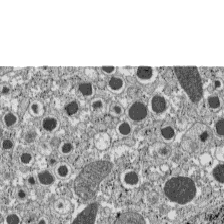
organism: C57BL Mouse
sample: Pancreatic islet